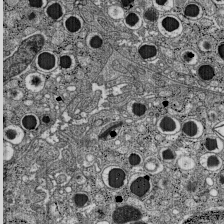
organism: C57BL Mouse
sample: Pancreatic islet